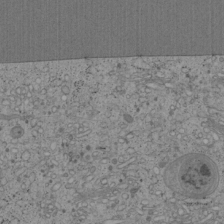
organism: African green monkey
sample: COS-7 cells